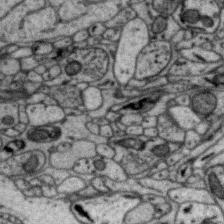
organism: Zebra finch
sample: Brain